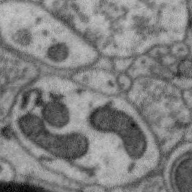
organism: Zebra finch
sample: Brain